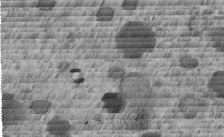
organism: C. elegans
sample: C. elegans embryo early stage